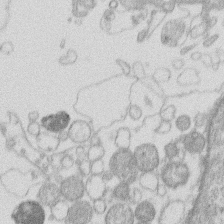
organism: Human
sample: Macrophage cells